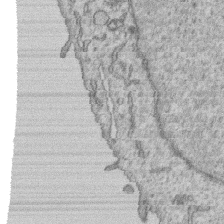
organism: Human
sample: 1205lu cells